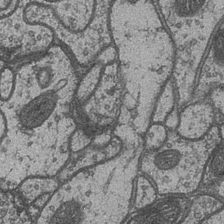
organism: Drosophila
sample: Optic medulla